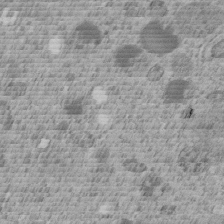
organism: C. elegans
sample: C. elegans embryo early stage